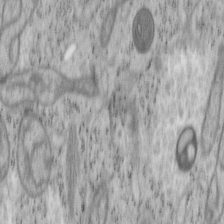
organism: Human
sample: HeLa cells